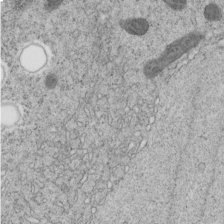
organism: C. elegans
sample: C. elegans embryo early stage